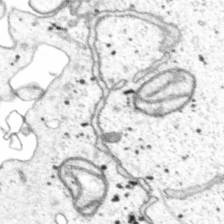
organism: Human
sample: HeLa cells